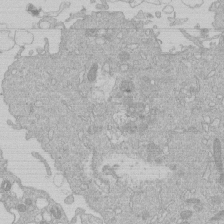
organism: Human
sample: Macrophage cells